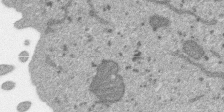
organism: Human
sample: Lung epithelial cells infected with SARS-CoV-2